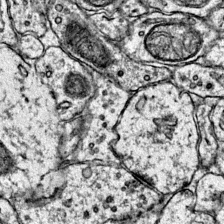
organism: Mouse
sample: Primary visual cortex